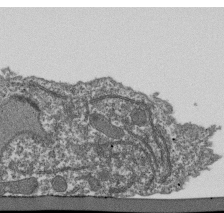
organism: Dictyostelium discoideum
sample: Dictyostelium multivesicular bodies